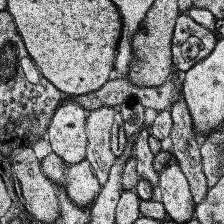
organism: Human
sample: Temporal Lobe